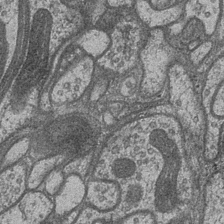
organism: Drosophila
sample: Optic medulla